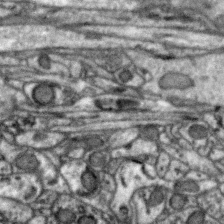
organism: Zebra finch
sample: Brain